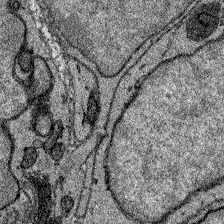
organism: Zebrafish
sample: Larval olfactory bulb